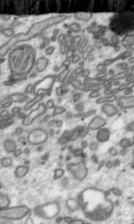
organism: Toxoplasma gondii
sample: Parasites in a vacuole inside a host cell